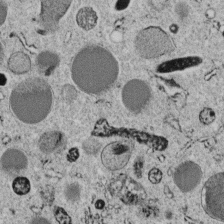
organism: C. elegans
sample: C. elegans embryo early stage